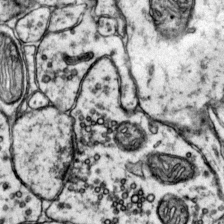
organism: Mouse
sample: Primary visual cortex